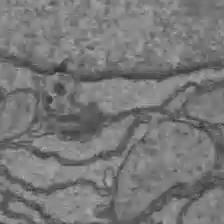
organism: C57BL Mouse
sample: Liver